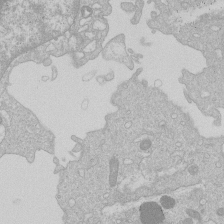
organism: Human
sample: Macrophage cells